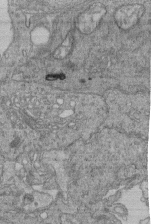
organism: Human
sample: Retinal organoid Rod and Cone cells